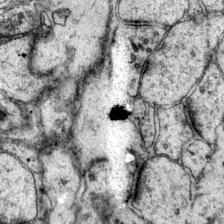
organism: Mouse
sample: Primary visual cortex